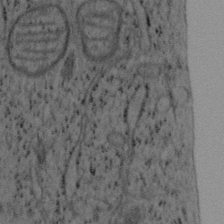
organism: Human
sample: HeLa cells